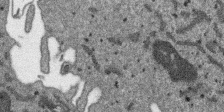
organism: Human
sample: Lung epithelial cells infected with SARS-CoV-2